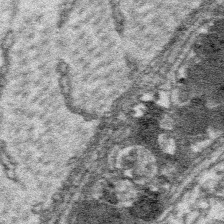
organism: Platynereis dumerilii